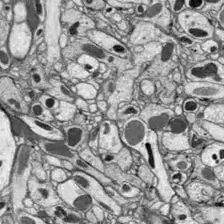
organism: Drosophila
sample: Optic lobe